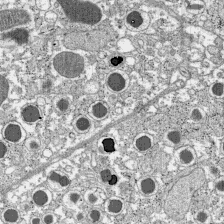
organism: C57BL Mouse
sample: Pancreatic islet